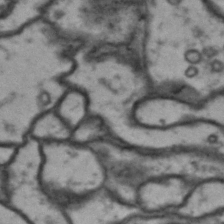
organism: Drosophila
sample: Brain